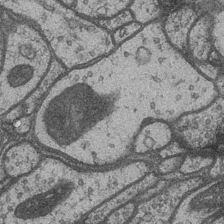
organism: Drosophila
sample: Optic medulla